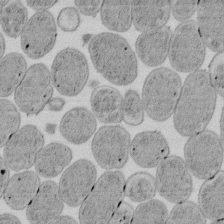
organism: E. coli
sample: Bacterial nucleoid